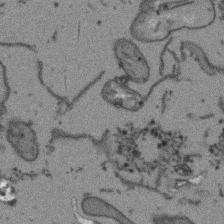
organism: Arabidopsis thaliana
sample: Root tip